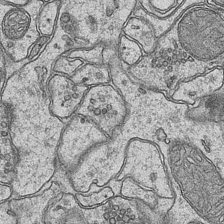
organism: Mouse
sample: CA1 Hippocampus